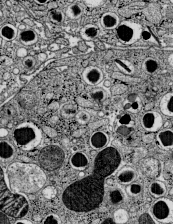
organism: C57BL Mouse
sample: Pancreatic islet